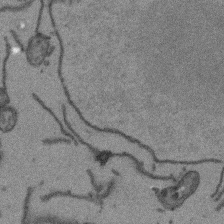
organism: Arabidopsis thaliana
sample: Root tip